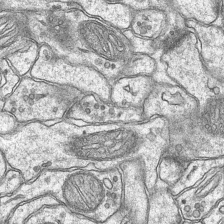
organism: Mouse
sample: CA1 Hippocampus